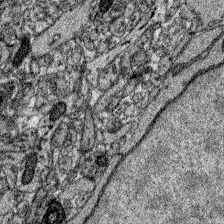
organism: Zebrafish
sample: Larval olfactory bulb